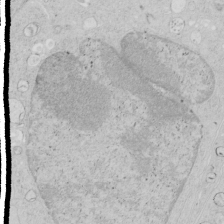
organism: Human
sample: Mitochondria in HCT116 cells